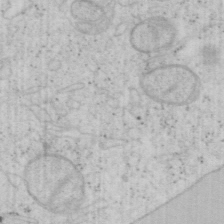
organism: Human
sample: HeLa cells